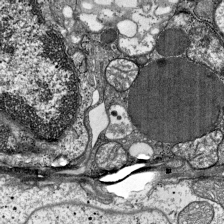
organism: Mouse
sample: Visual Cortex